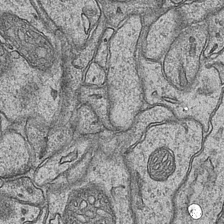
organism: Mouse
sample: CA1 Hippocampus